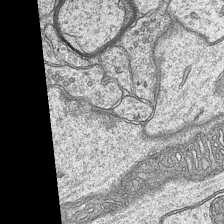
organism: Mouse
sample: CA1 Hippocampus